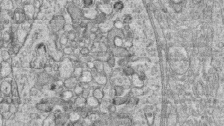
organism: Zebrafish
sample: synaptic ribbons in rod cells and cone cells